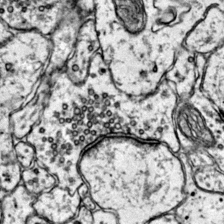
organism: Mouse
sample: Primary visual cortex